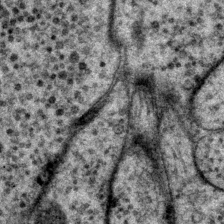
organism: P. pacificus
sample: Pharynx